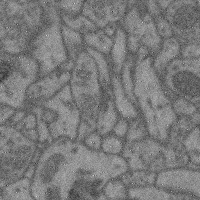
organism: Mouse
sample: Cerebral cortex